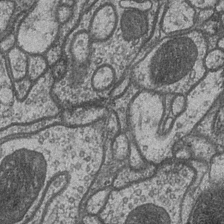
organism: Drosophila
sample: Optic medulla